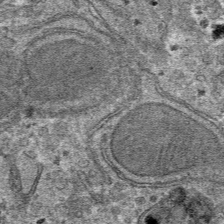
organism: Mouse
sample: Mouse hepatocytes